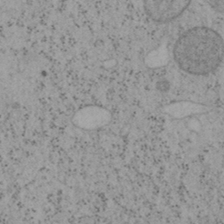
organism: Mouse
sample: OT-I killer T cells with ID8 ovarian cancer cells